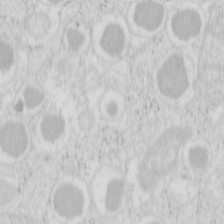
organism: Mouse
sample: Pancreas